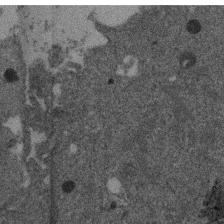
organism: Mouse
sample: Dividing mouse embryo 1 cell stage